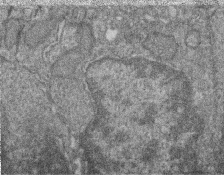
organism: Zebrafish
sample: Cilia; retinal pigment epithelium